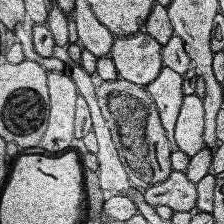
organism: Human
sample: Temporal Lobe